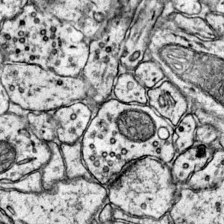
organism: Mouse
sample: Primary visual cortex